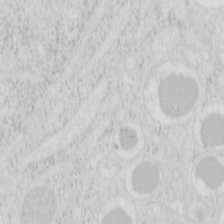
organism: Mouse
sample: Pancreas